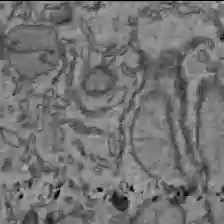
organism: C57BL Mouse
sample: Liver